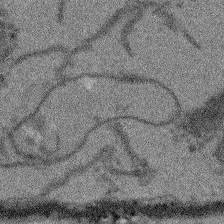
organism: Arabidopsis thaliana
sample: Root tip